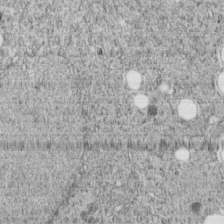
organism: C. elegans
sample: C. elegans embryo early stage